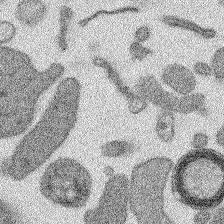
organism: Human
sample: HeLa cells